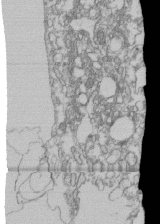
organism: Human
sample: Fibroblast cells